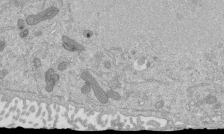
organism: Mouse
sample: ED-1 cell nuclei; centrioles